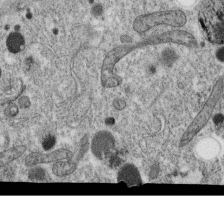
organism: C. elegans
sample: C. elegans oocyte; sperm cells